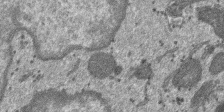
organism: Human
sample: Lung epithelial cells infected with SARS-CoV-2